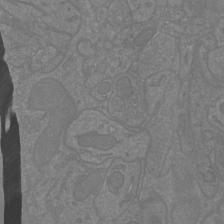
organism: Mouse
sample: Cortical neurons